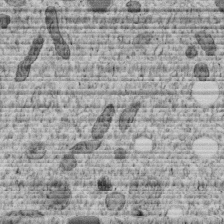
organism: C. elegans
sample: C. elegans embryo early stage